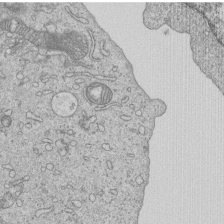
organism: Human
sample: MDA-MB-231 cells